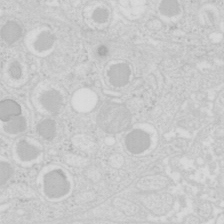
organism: Mouse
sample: Pancreas